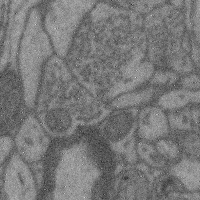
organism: Mouse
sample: Cerebral cortex